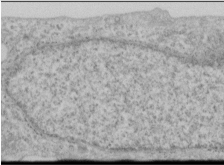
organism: Human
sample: Cilia; basal body in RPE cells